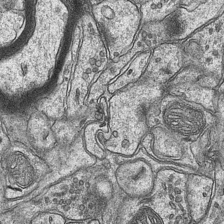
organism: Mouse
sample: CA1 Hippocampus